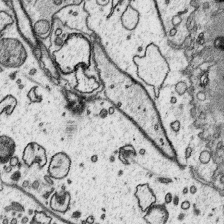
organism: Platynereis dumerilii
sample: Parapodia